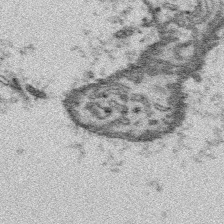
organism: Platynereis dumerilii